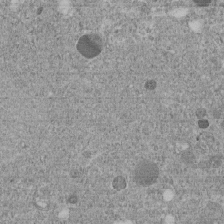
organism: C. elegans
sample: C. elegans embryo early stage